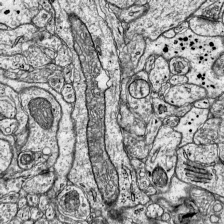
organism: Mouse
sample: Visual Cortex